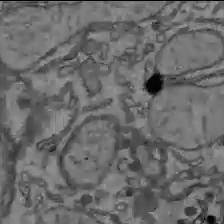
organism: C57BL Mouse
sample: Liver